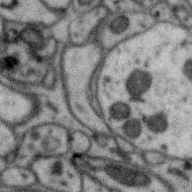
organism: Zebra finch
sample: Brain